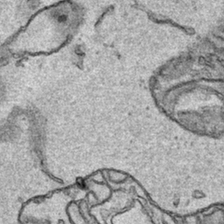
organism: Human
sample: Mitochondria in HCT116 cells